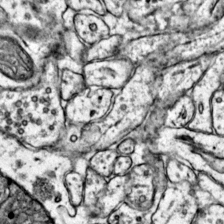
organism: Mouse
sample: Primary visual cortex